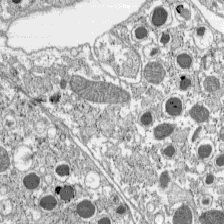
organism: C57BL Mouse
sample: Pancreatic islet